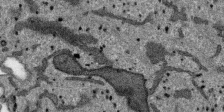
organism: Human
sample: Lung epithelial cells, uninfected (mock) control